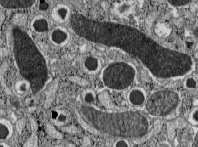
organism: C57BL Mouse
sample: Pancreatic islet